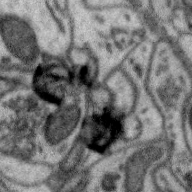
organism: Zebra finch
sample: Brain